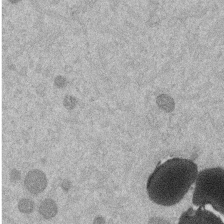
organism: Mouse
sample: Dividing mouse embryo 1 cell stage